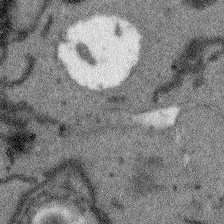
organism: Arabidopsis thaliana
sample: Root tip